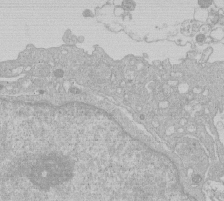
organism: Human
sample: Macrophage cells